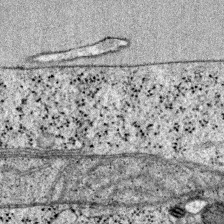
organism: Human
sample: HeLa cells